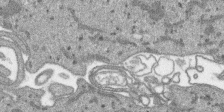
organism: Human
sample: Lung epithelial cells infected with SARS-CoV-2